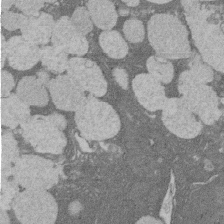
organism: Rat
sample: Salivary granule